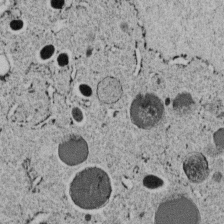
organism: C. elegans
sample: C. elegans embryo early stage